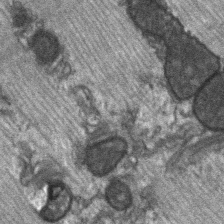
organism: C57BL Mouse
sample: Soleus